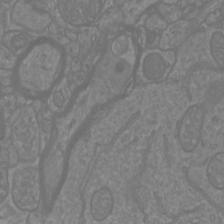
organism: Mouse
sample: Cortical neurons